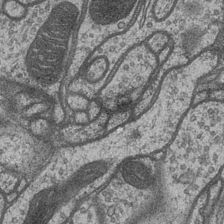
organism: Drosophila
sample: Optic medulla